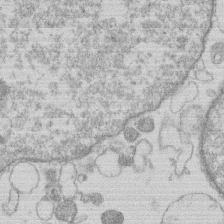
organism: Human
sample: Macrophage cells